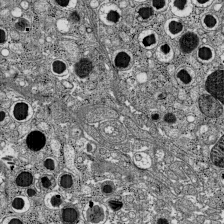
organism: C57BL Mouse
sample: Pancreatic islet